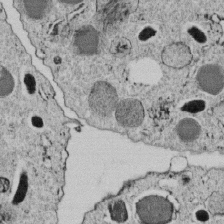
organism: C. elegans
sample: C. elegans embryo early stage